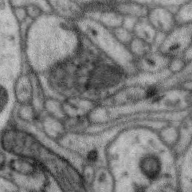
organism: Zebra finch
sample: Brain